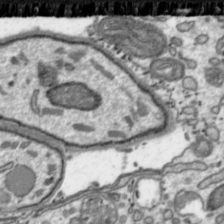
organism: Toxoplasma gondii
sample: Parasites in a vacuole inside a host cell